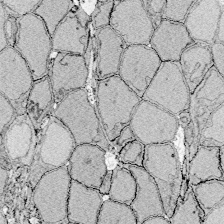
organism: Zebrafish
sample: Whole-Brain